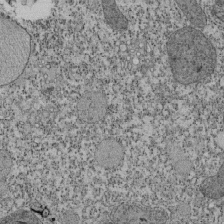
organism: Tetrahymena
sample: Cilia in tetrahymena